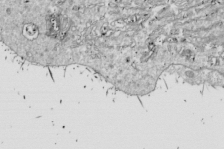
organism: Drosophila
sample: Cell division; meiosis; drosophila spermatocytes